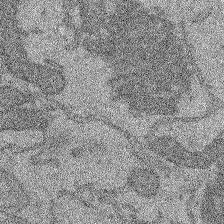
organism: Human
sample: HeLa cells